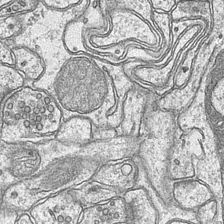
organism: Mouse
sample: CA1 Hippocampus